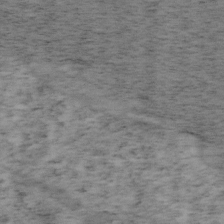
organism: Mouse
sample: OT-I killer T cells with ID8 ovarian cancer cells